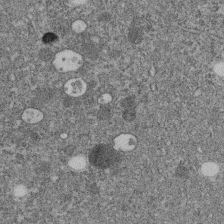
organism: C. elegans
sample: C. elegans embryo early stage